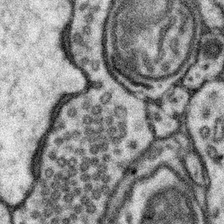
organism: Mouse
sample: Somatosensory cortex neuropil